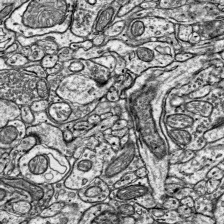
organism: Mouse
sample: Visual Cortex